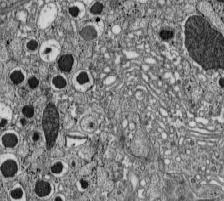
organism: C57BL Mouse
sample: Pancreatic islet